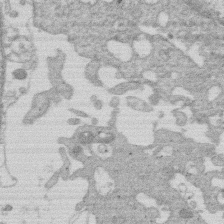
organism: Human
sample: Macrophage cells